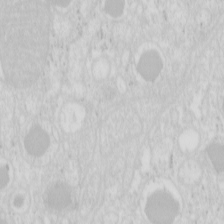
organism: Mouse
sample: Pancreas